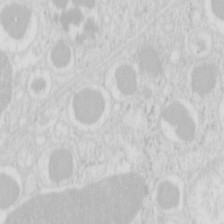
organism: Mouse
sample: Pancreas